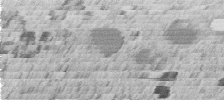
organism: C. elegans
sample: C. elegans embryo early stage